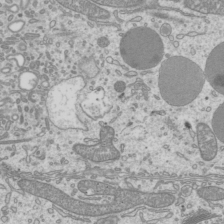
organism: Mouse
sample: Cilia; mouse epididymis